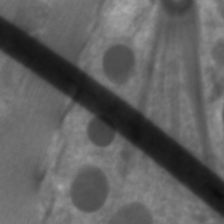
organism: C. elegans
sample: Pharynx